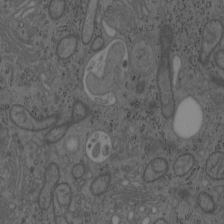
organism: Mouse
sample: OT-I killer T cells with ID8 ovarian cancer cells